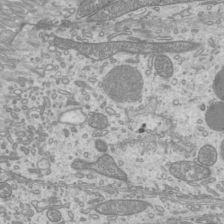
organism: Mouse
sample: Cilia; mouse epididymis